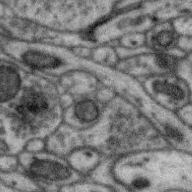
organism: Zebra finch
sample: Brain